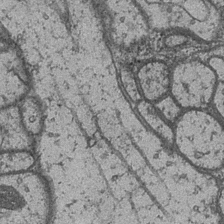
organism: Drosophila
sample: Optic medulla